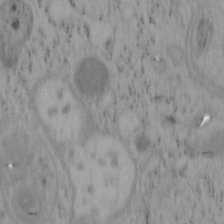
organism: Mouse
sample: OT-I killer T cells with ID8 ovarian cancer cells